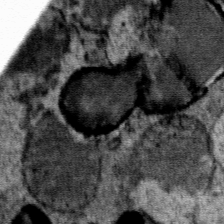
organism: Mouse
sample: Mouse Salivary gland